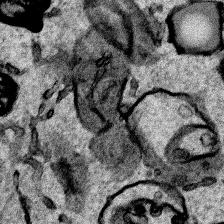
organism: Human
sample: Mitochondria in HCT116 cells